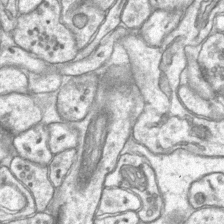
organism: Mouse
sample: CA1 Hippocampus